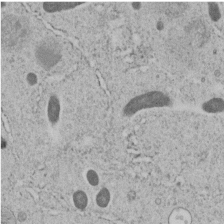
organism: C. elegans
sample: C. elegans embryo early stage